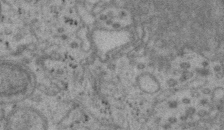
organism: Human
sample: HeLa cells